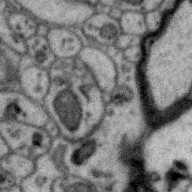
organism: Zebra finch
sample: Brain